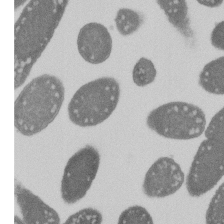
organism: E. coli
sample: Bacterial nucleoid